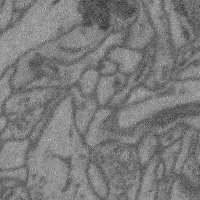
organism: Mouse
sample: Cerebral cortex